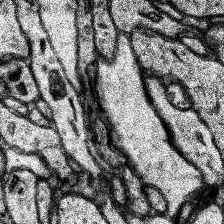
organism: Human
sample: Temporal Lobe